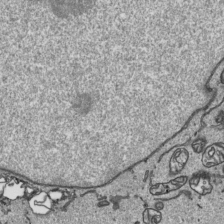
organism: Human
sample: Mitochondria in HCT116 cells